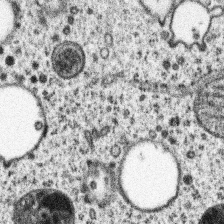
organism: Human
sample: HeLa cells